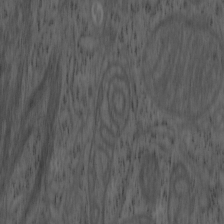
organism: Human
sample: HeLa cells